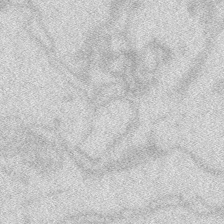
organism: Zebrafish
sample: Macrophage